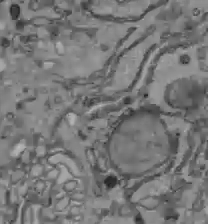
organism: C57BL Mouse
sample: Liver